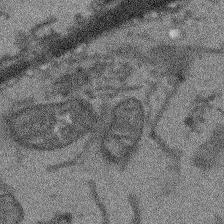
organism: Arabidopsis thaliana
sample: Root tip